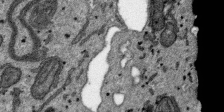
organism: Human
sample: Lung epithelial cells, uninfected (mock) control